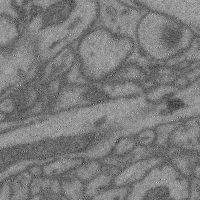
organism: Mouse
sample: Cerebral cortex